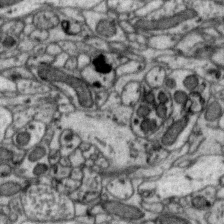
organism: Zebra finch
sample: Brain